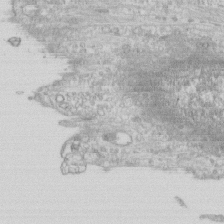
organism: Human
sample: CRL-1474